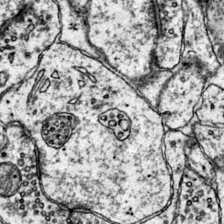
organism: Mouse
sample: Primary visual cortex